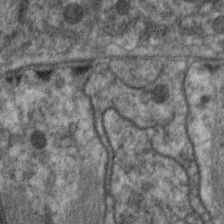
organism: C. elegans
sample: Pharynx